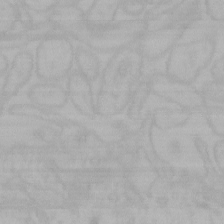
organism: Mouse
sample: Choroid plexus